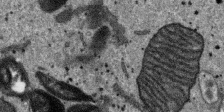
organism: Human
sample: Lung epithelial cells, uninfected (mock) control